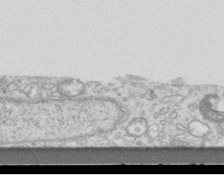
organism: Mouse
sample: Centriole in ependymal cells